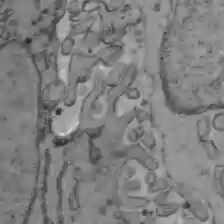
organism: C57BL Mouse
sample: Liver